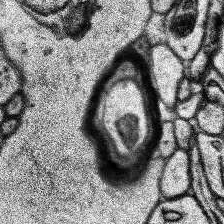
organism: Human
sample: Temporal Lobe